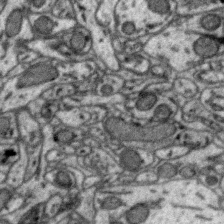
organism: Zebra finch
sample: Brain